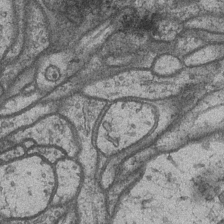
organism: Drosophila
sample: Optic medulla